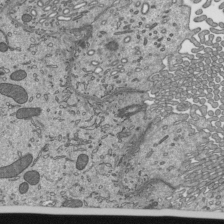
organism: Mouse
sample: Mouse epididymis efferent ductule cilia